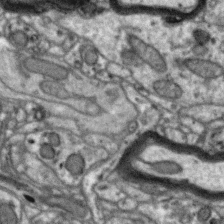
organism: Zebra finch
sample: Brain